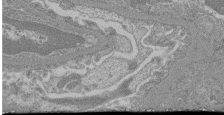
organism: Mouse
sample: Glomerulus